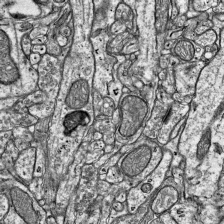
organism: Mouse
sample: Visual Cortex